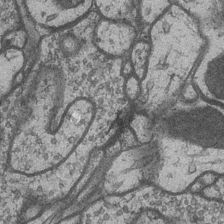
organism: Drosophila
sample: Optic medulla